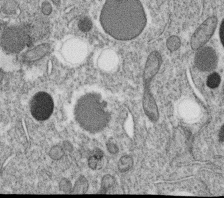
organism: C. elegans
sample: C. elegans oocyte; sperm cells